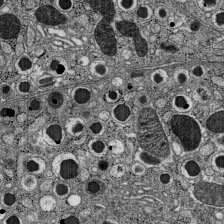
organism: C57BL Mouse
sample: Pancreatic islet